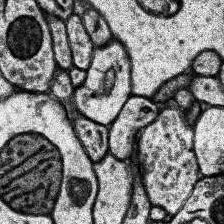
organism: Human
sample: Temporal Lobe